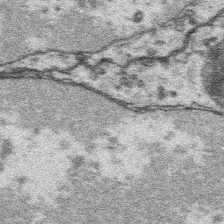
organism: Platynereis dumerilii